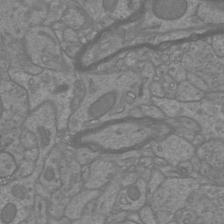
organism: Mouse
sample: Cortical neurons